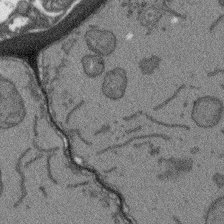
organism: Arabidopsis thaliana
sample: Root tip